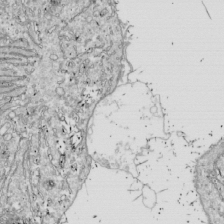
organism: Drosophila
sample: Cell division; meiosis; drosophila spermatocytes